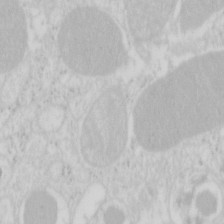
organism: Mouse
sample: Pancreas